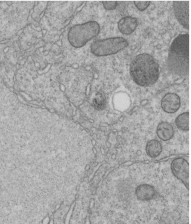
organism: C. elegans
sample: C. elegans embryo early stage